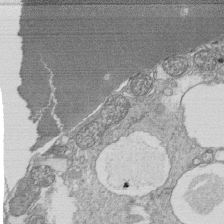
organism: Tetrahymena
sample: Cilia in tetrahymena